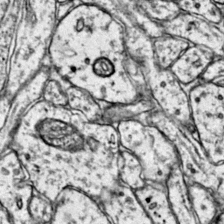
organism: Mouse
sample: Primary visual cortex